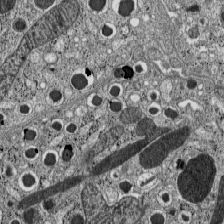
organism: C57BL Mouse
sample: Pancreatic islet